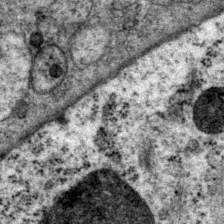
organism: P. pacificus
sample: Pharynx